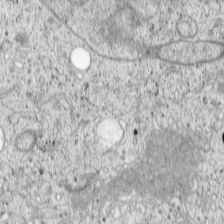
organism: African green monkey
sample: COS-7 cells